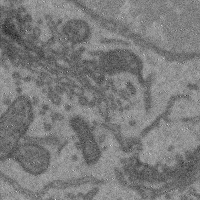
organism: Mouse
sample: Cerebral cortex